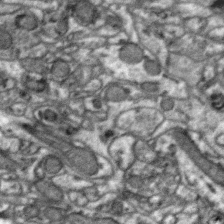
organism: Zebra finch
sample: Brain